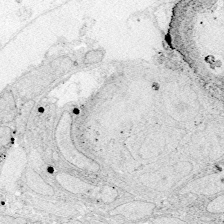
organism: Zebrafish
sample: Whole-Brain